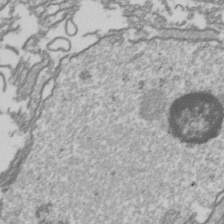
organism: Drosophila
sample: Cell division; meiosis; drosophila spermatocytes